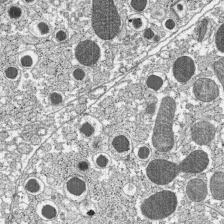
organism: C57BL Mouse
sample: Pancreatic islet